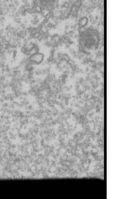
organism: Drosophila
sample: Cell division; meiosis; drosophila spermatocytes